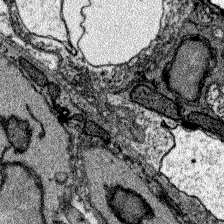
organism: Zebrafish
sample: Larval olfactory bulb